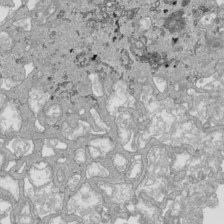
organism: Human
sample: Mitochondria in HCT116 cells